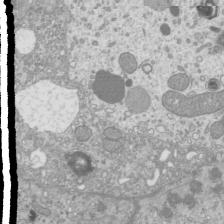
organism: Mouse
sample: Cilia; mouse epididymis